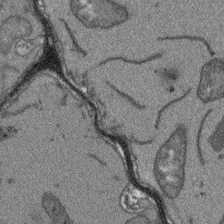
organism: Arabidopsis thaliana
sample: Root tip